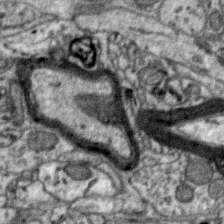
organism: Zebra finch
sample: Brain